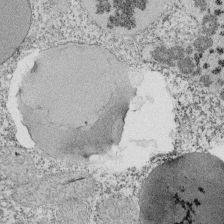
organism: Tetrahymena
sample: Cilia in tetrahymena